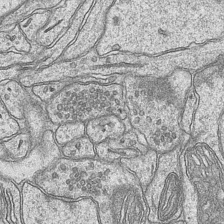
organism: Mouse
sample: CA1 Hippocampus